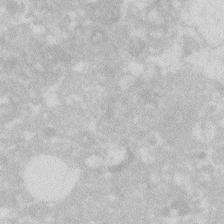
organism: Zebrafish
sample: Macrophage